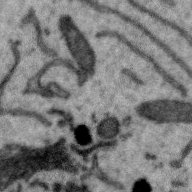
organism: Zebra finch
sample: Brain